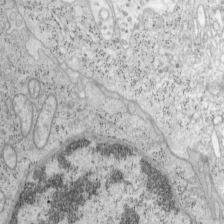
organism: Mouse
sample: OT-I killer T cells with ID8 ovarian cancer cells